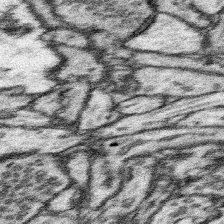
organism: Mouse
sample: Somatosensory cortex neuropil